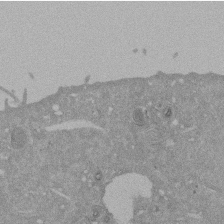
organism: Mouse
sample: ED-1 cell nuclei; centrioles